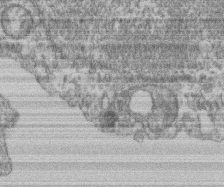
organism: Mouse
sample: T cell stromal cell synapse